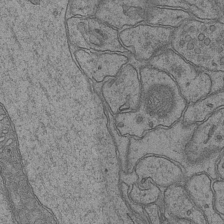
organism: Mouse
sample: CA1 Hippocampus